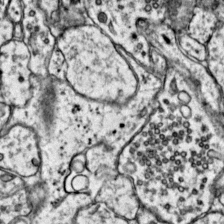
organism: Mouse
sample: Primary visual cortex